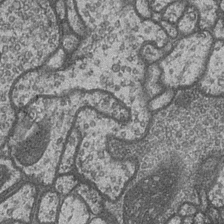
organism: Drosophila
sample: Optic medulla